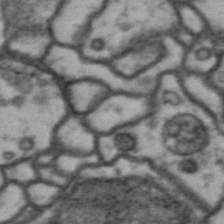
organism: Drosophila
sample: Brain